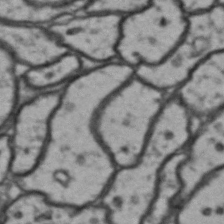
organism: Drosophila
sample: Brain